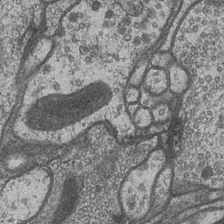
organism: Drosophila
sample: Optic medulla